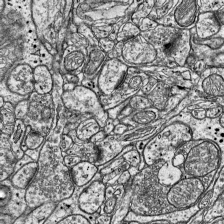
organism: Mouse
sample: Visual Cortex